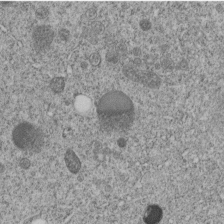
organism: C. elegans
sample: C. elegans embryo early stage